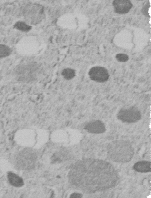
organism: C. elegans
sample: C. elegans embryo early stage